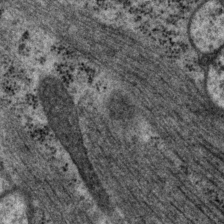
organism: P. pacificus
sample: Pharynx